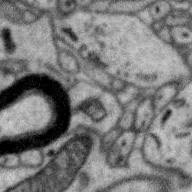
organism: Zebra finch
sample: Brain